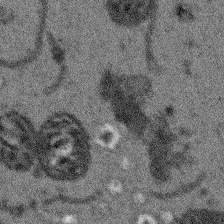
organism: Arabidopsis thaliana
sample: Root tip